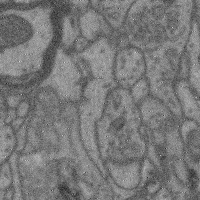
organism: Mouse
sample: Cerebral cortex